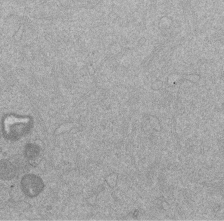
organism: Mouse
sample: Dividing mouse embryo 1 cell stage